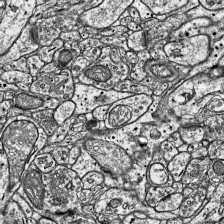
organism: Mouse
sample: Visual Cortex